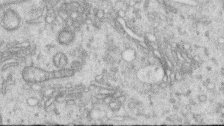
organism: Human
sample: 1205lu cells